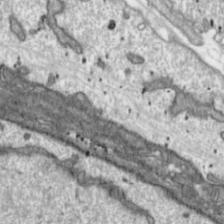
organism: Toxoplasma gondii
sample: Parasites in a vacuole inside a host cell